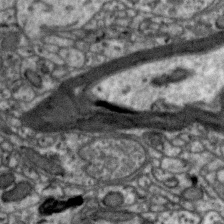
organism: Zebra finch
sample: Brain